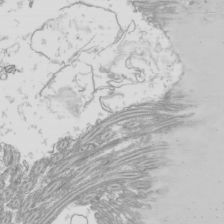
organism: Mouse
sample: Cilia; mouse epididymis